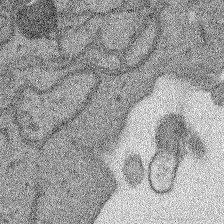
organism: Human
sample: HeLa cells